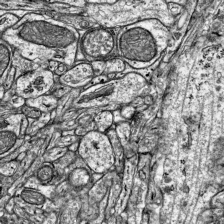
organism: Mouse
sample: Visual Cortex